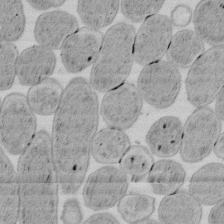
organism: E. coli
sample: Bacterial nucleoid